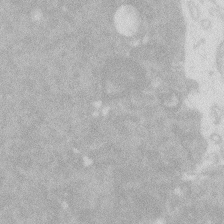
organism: Zebrafish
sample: Macrophage